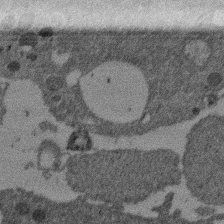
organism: Mouse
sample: Dividing mouse embryo 1 cell stage